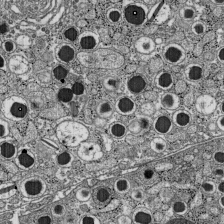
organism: C57BL Mouse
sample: Pancreatic islet